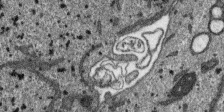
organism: Human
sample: Lung epithelial cells infected with SARS-CoV-2